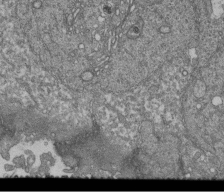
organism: Human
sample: Retinal organoid Rod and Cone cells